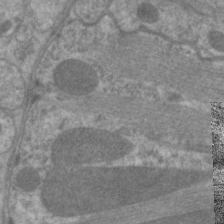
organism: C. elegans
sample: Pharynx